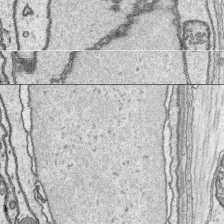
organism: Platynereis dumerilii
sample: Parapodia